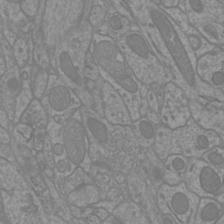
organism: Mouse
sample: Cortical neurons